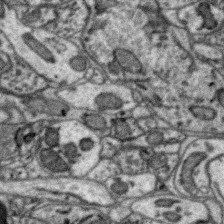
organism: Zebra finch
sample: Brain